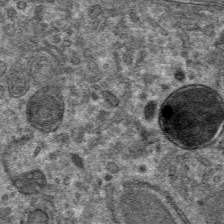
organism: Mouse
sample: Mouse hepatocytes